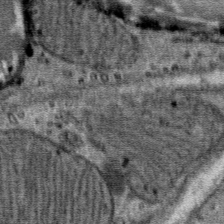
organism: Mouse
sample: Mouse Salivary gland